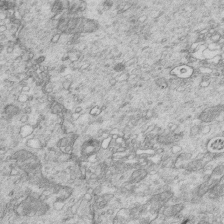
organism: Mouse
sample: Multiciliated cells